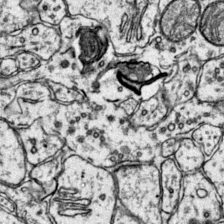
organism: Mouse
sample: Primary visual cortex